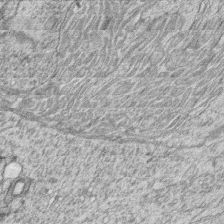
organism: Zebrafish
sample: synaptic ribbons in rod cells and cone cells